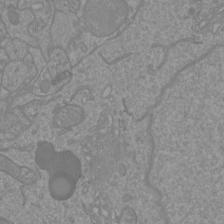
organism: Mouse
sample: Cortical neurons